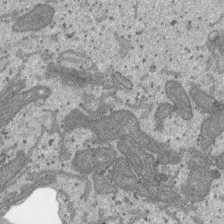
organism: Human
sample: Lung epithelial cells infected with SARS-CoV-2